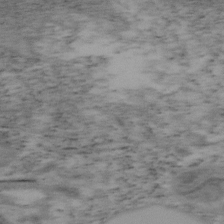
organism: Mouse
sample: OT-I killer T cells with ID8 ovarian cancer cells